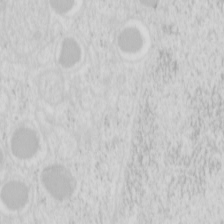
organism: Mouse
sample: Pancreas